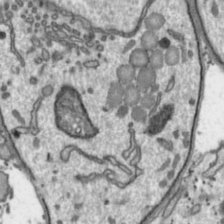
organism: Toxoplasma gondii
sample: Parasites in a vacuole inside a host cell